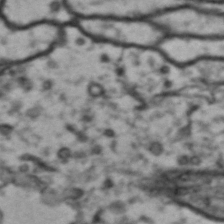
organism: Drosophila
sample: Brain